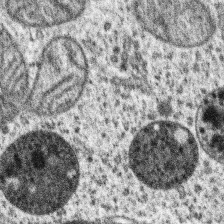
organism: Human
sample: HeLa cells